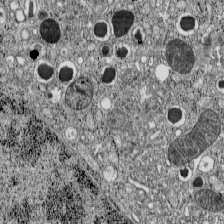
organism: C57BL Mouse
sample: Pancreatic islet